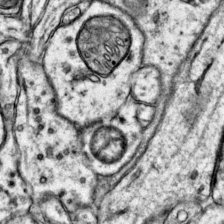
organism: Mouse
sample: Primary visual cortex